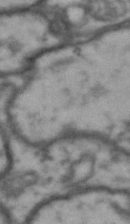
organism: Drosophila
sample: Brain